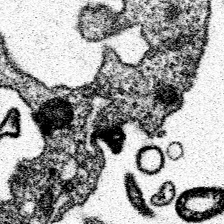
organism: Spongilla lacustris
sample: Neuroid cell